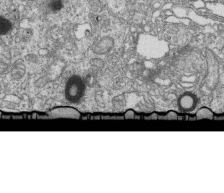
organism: Human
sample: HeLa cell HIV synapse